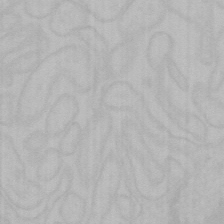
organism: Mouse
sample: Choroid plexus